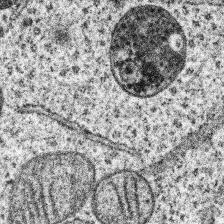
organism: Human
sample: HeLa cells